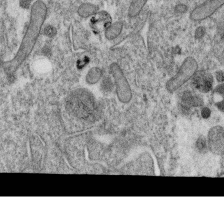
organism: C. elegans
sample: C. elegans oocyte; sperm cells